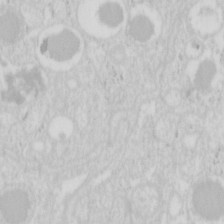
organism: Mouse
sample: Pancreas